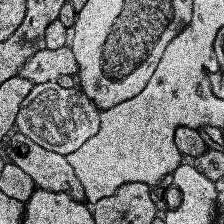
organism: Human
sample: Temporal Lobe